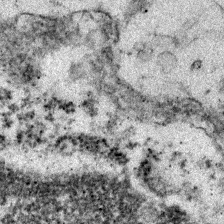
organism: Zebrafish